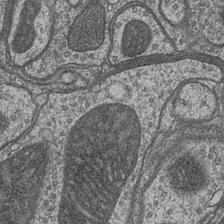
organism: Drosophila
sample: Optic medulla